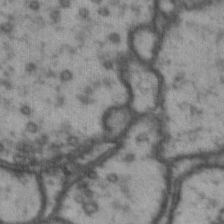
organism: Drosophila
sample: Brain